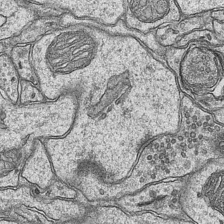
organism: Mouse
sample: CA1 Hippocampus